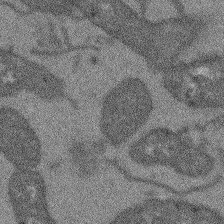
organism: Arabidopsis thaliana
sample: Root tip